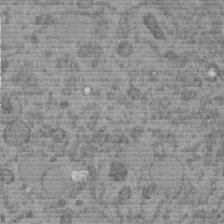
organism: C. elegans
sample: C. elegans embryo early stage